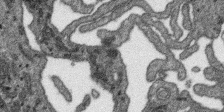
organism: Human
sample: Lung epithelial cells infected with SARS-CoV-2